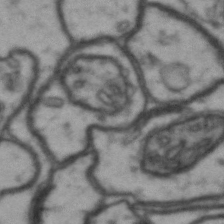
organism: Drosophila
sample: Brain